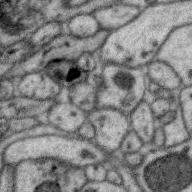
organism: Zebra finch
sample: Brain